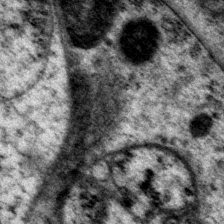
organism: P. pacificus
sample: Pharynx